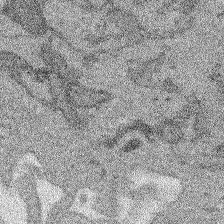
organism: Human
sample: HeLa cells